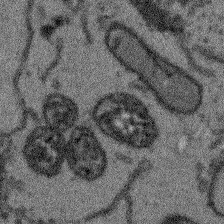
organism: Arabidopsis thaliana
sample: Root tip